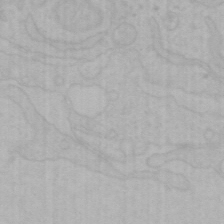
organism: Mouse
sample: Choroid plexus